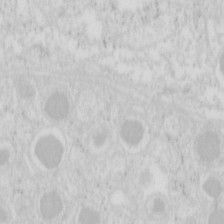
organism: Mouse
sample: Pancreas